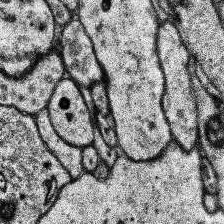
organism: Human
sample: Temporal Lobe